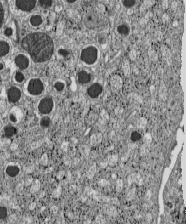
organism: C57BL Mouse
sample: Pancreatic islet